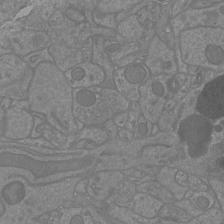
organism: Mouse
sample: Cortical neurons